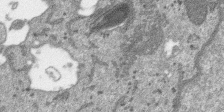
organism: Human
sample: Lung epithelial cells infected with SARS-CoV-2